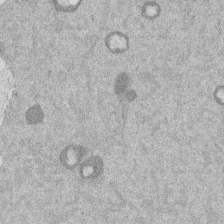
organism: Mouse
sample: Dividing mouse embryo 1 cell stage